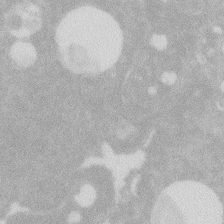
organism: Zebrafish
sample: Macrophage